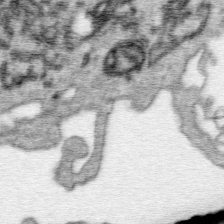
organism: Human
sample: HeLa cells